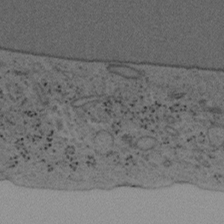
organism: Human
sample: HeLa cells